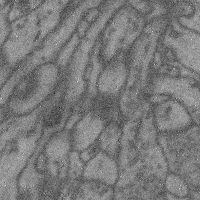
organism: Mouse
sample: Cerebral cortex